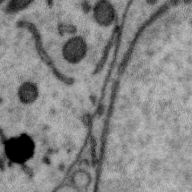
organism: Zebra finch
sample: Brain